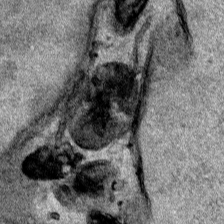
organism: Human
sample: Mitochondria in HCT116 cells